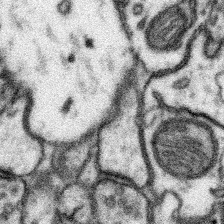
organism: Mouse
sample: Somatosensory cortex neuropil